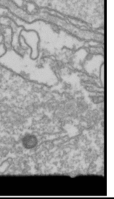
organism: Drosophila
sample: Cell division; meiosis; drosophila spermatocytes